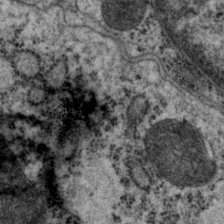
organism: P. pacificus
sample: Pharynx